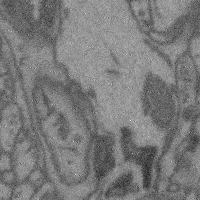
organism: Mouse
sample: Cerebral cortex